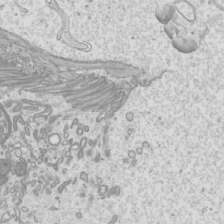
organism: Mouse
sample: Cilia; mouse epididymis